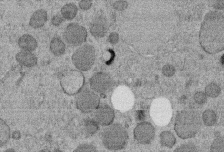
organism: C. elegans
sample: C. elegans embryo early stage